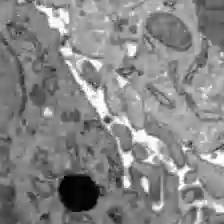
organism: C57BL Mouse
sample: Liver